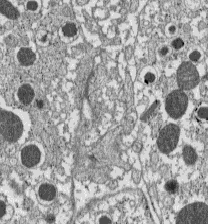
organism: C57BL Mouse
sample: Pancreatic islet